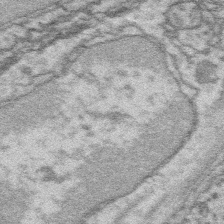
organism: Platynereis dumerilii